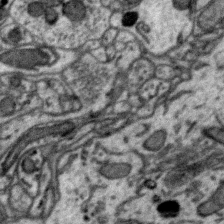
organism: Zebra finch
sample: Brain